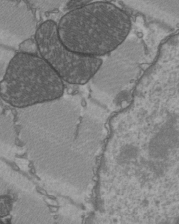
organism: C57BL Mouse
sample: Heart